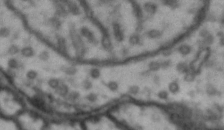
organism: Drosophila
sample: Brain